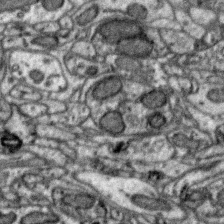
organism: Zebra finch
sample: Brain